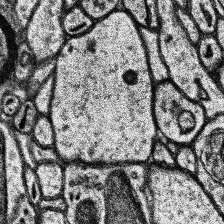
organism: Human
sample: Temporal Lobe